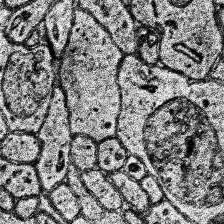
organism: Human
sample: Temporal Lobe